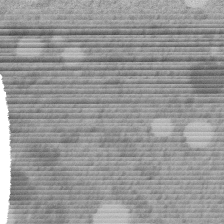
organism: C. elegans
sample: C. elegans embryo early stage